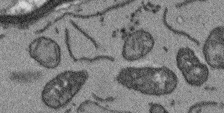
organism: Arabidopsis thaliana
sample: Root tip